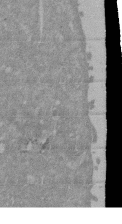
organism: Mouse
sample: ED-1 cell nuclei; centrioles